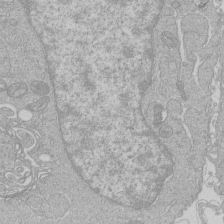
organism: Human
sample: Macrophage cells